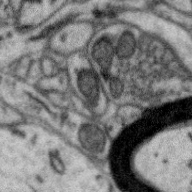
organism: Zebra finch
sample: Brain